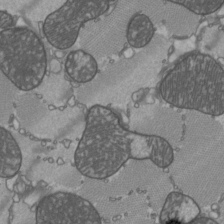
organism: C57BL Mouse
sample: Heart